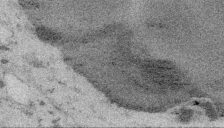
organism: Embia sp.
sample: Silk gland